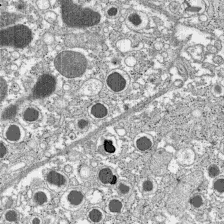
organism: C57BL Mouse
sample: Pancreatic islet